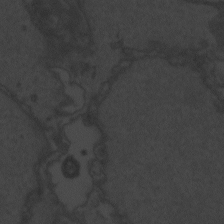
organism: Zebrafish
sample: Macrophage infected with Toxoplasma gondii